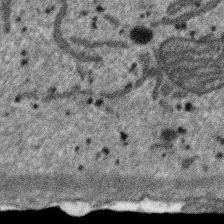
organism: Human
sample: Lung epithelial cells infected with SARS-CoV-2